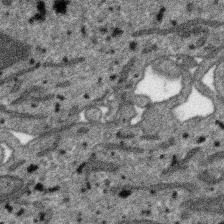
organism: Human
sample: Lung epithelial cells infected with SARS-CoV-2